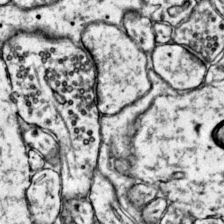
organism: Mouse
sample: Primary visual cortex